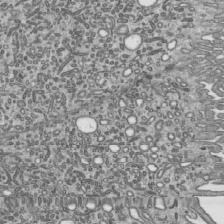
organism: Mouse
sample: Mouse epididymis efferent ductule cilia